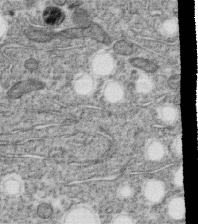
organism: C. elegans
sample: C. elegans oocyte; sperm cells